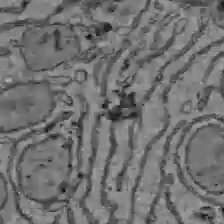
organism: C57BL Mouse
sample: Liver